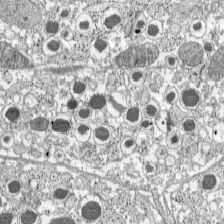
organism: C57BL Mouse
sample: Pancreatic islet